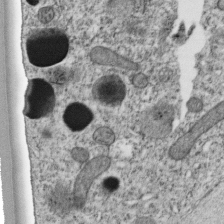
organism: C. elegans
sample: C. elegans embryo early stage